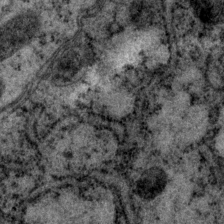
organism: P. pacificus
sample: Pharynx